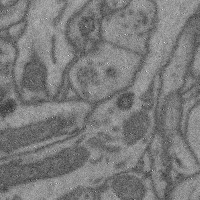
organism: Mouse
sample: Cerebral cortex